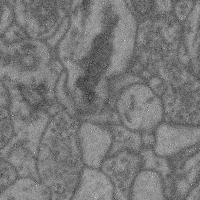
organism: Mouse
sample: Cerebral cortex